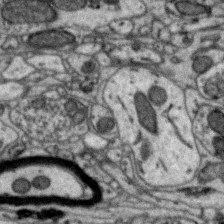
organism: Zebra finch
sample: Brain